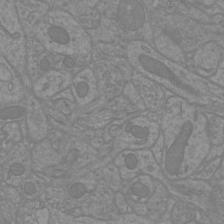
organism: Mouse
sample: Cortical neurons